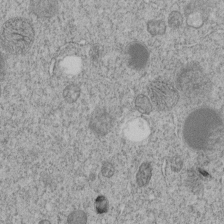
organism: C. elegans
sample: C. elegans embryo early stage